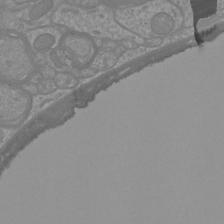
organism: Mouse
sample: Cortical neurons